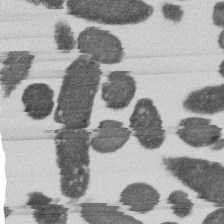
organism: E. coli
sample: Bacterial nucleoid